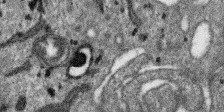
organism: Human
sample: Lung epithelial cells infected with SARS-CoV-2